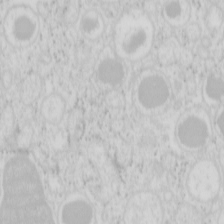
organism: Mouse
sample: Pancreas